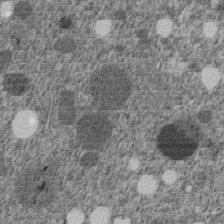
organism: C. elegans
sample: C. elegans embryo early stage